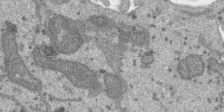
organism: Human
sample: Lung epithelial cells infected with SARS-CoV-2